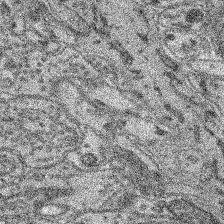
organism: Mouse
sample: Retina